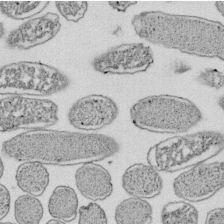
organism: E. coli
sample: Bacterial nucleoid